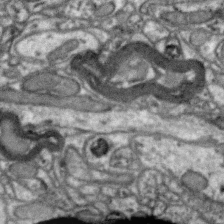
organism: Zebra finch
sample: Brain